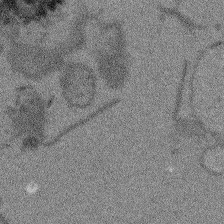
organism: Arabidopsis thaliana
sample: Root tip